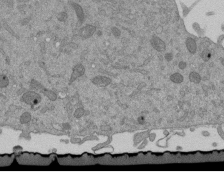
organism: Mouse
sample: ED-1 cell nuclei; centrioles